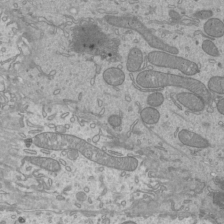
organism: Mouse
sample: Cilia; mouse epididymis